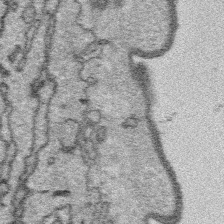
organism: Platynereis dumerilii